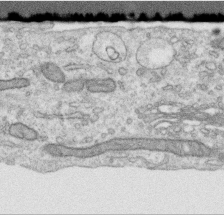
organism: Human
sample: Centriole in RPE cells